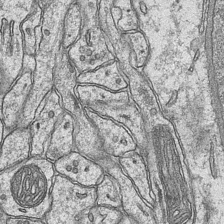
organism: Mouse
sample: CA1 Hippocampus